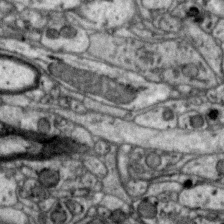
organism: Zebra finch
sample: Brain